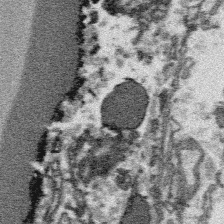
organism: Platynereis dumerilii